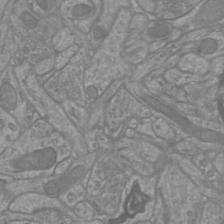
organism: Mouse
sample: Cortical neurons